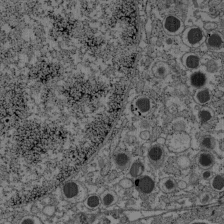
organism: C57BL Mouse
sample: Pancreatic islet